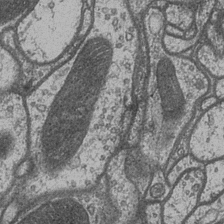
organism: Drosophila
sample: Optic medulla